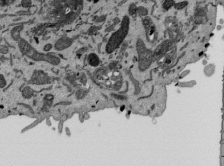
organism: Mouse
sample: ED-1 cell nuclei; centrioles